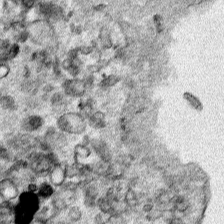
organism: Human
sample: Mitochondria in HCT116 cells